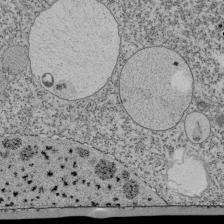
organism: Tetrahymena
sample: Cilia in tetrahymena